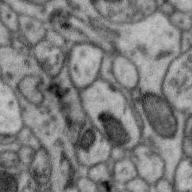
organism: Zebra finch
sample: Brain